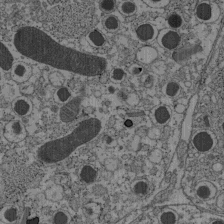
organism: C57BL Mouse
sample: Pancreatic islet